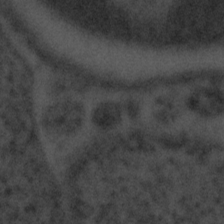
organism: Tuwongella immobilis